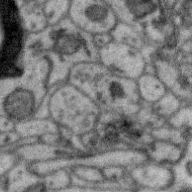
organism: Zebra finch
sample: Brain